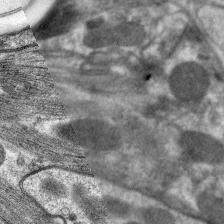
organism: C. elegans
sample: Pharynx